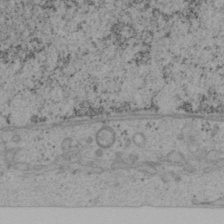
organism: Human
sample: HeLa cells